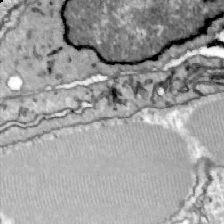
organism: Zebrafish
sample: Actinotrichia fibers